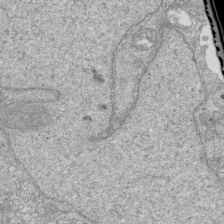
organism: Human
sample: HeLa cell HIV synapse